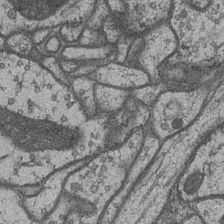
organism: Drosophila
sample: Optic medulla